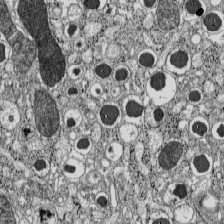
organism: C57BL Mouse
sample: Pancreatic islet